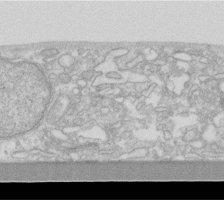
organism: Human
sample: Fibroblast cells